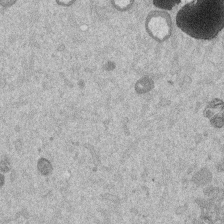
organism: Mouse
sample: Dividing mouse embryo 1 cell stage